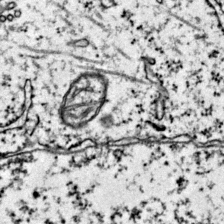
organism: Mouse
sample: Primary visual cortex